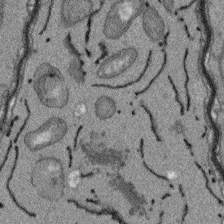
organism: Arabidopsis thaliana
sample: Root tip